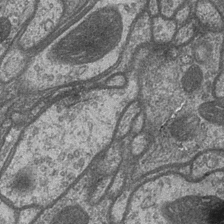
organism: Drosophila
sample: Optic medulla